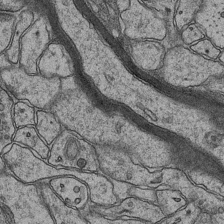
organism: Mouse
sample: CA1 Hippocampus